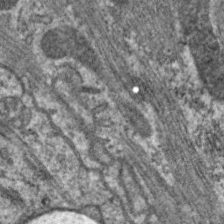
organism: C. elegans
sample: Pharynx